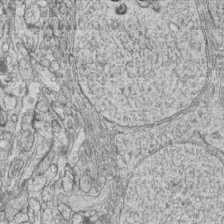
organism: Zebrafish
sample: synaptic ribbons in rod cells and cone cells